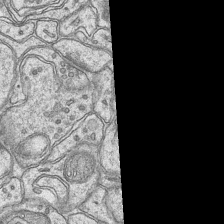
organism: Mouse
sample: CA1 Hippocampus